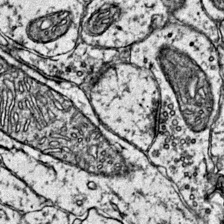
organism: Mouse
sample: Primary visual cortex